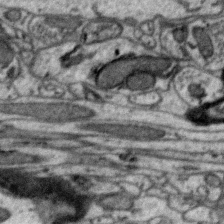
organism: Zebra finch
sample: Brain